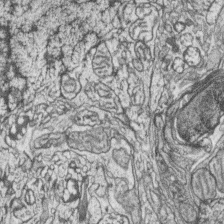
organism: Zebrafish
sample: synaptic ribbons in rod cells and cone cells